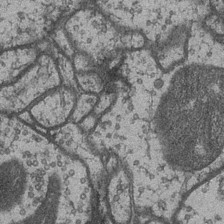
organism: Drosophila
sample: Optic medulla